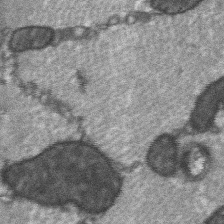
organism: C57BL Mouse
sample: Soleus